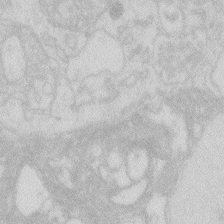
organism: Zebrafish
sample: Macrophage